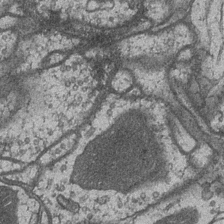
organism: Drosophila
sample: Optic medulla